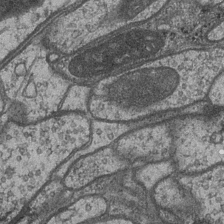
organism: Drosophila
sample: Optic medulla